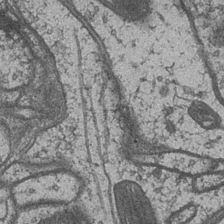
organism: Drosophila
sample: Optic medulla